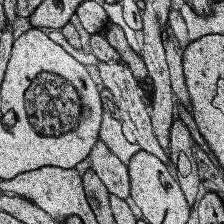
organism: Human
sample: Temporal Lobe